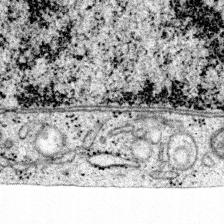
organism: Human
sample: HeLa cells